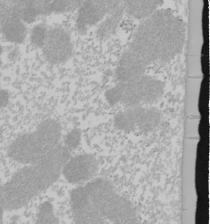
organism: Mouse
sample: Cancer cell death in ED-1 cells